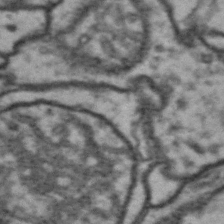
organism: Drosophila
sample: Brain